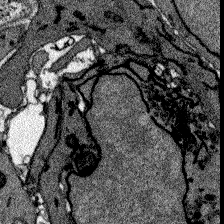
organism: Zebrafish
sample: Larval olfactory bulb